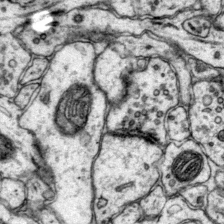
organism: Mouse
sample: Primary visual cortex